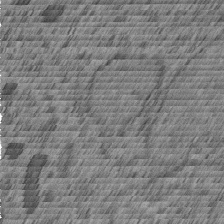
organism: C. elegans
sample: C. elegans embryo early stage